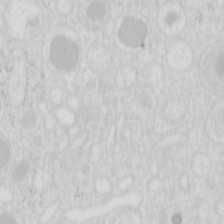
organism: Mouse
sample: Pancreas